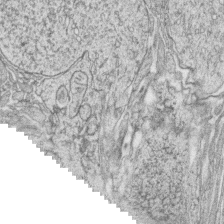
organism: Zebrafish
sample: synaptic ribbons in rod cells and cone cells